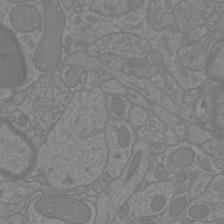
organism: Mouse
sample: Cortical neurons